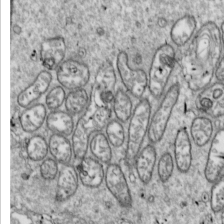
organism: Drosophila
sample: Cell division; meiosis; drosophila spermatocytes